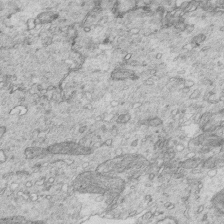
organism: Mouse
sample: Multiciliated cells